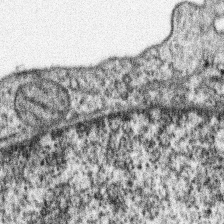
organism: Human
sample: HeLa cells